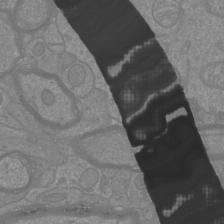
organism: Mouse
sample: Cortical neurons